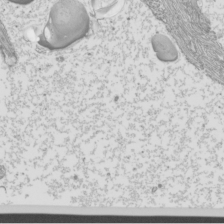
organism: Mouse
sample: Cilia; mouse epididymis